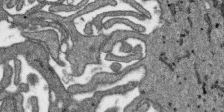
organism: Human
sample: Lung epithelial cells, uninfected (mock) control